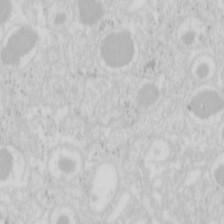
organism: Mouse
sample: Pancreas